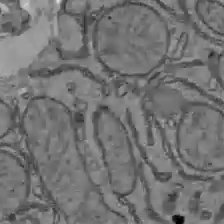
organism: C57BL Mouse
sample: Liver